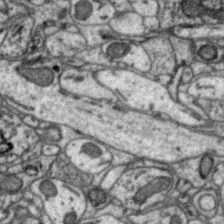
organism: Zebra finch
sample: Brain